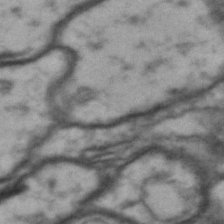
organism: Drosophila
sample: Brain